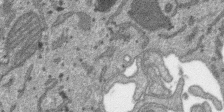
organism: Human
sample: Lung epithelial cells infected with SARS-CoV-2